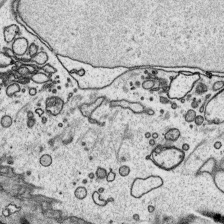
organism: Platynereis dumerilii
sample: Parapodia